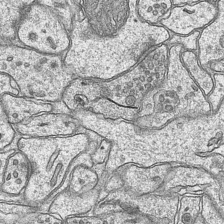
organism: Mouse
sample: CA1 Hippocampus